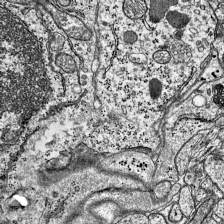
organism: Mouse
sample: Visual Cortex